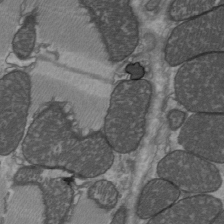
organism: C57BL Mouse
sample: Heart